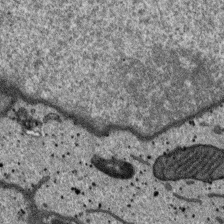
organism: Human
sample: Lung epithelial cells, uninfected (mock) control